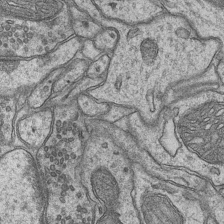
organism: Mouse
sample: CA1 Hippocampus